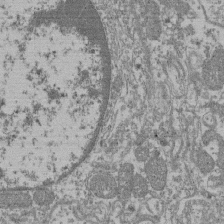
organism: Mouse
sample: Glomerulus